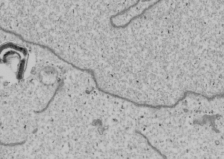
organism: Human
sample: Mitochondria in U2OS cells